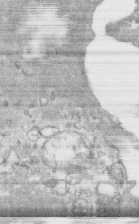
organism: Human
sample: CRL-1474